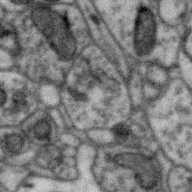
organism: Zebra finch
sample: Brain